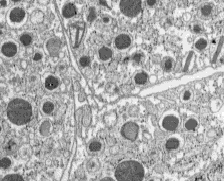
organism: C57BL Mouse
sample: Pancreatic islet